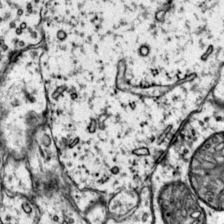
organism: Mouse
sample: Primary visual cortex